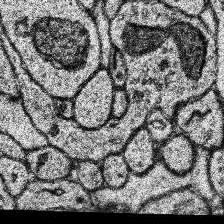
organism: Human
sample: Temporal Lobe